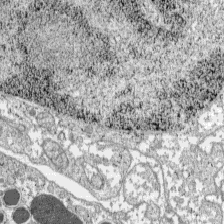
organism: C57BL Mouse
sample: Pancreatic islet